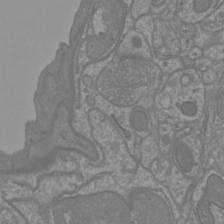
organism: Mouse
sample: Cortical neurons